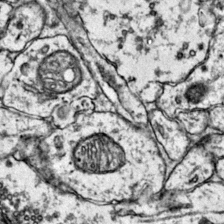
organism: Mouse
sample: Primary visual cortex